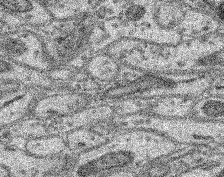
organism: Mouse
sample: Retina